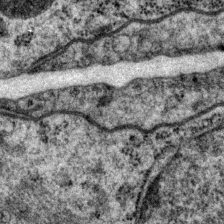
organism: P. pacificus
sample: Pharynx